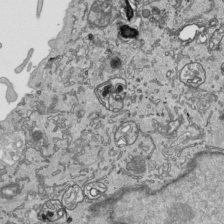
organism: Human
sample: Mitochondria in HCT116 cells